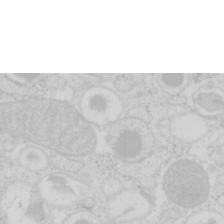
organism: Mouse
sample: Pancreas